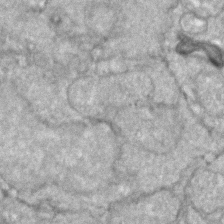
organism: Zebrafish